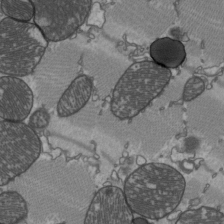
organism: C57BL Mouse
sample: Heart